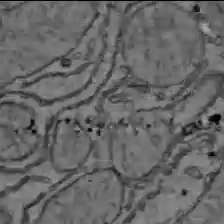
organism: C57BL Mouse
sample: Liver